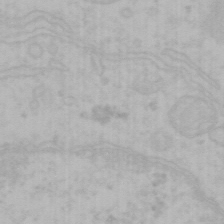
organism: Mouse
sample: Choroid plexus